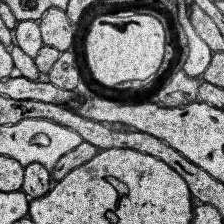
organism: Human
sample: Temporal Lobe